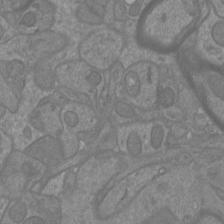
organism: Mouse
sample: Cortical neurons